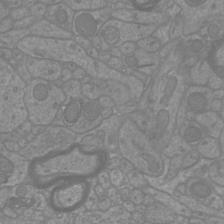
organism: Mouse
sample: Cortical neurons